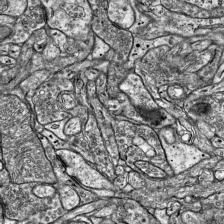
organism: Mouse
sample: Visual Cortex